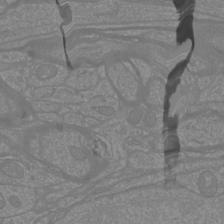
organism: Mouse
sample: Cortical neurons